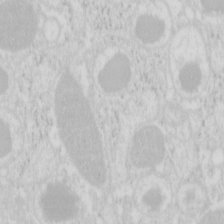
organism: Mouse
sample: Pancreas